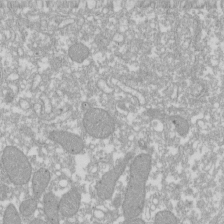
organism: Xenopus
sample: Cilia; centrioles in frog embryo cells